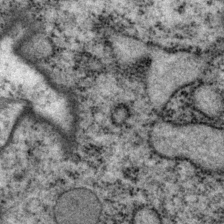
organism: P. pacificus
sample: Pharynx